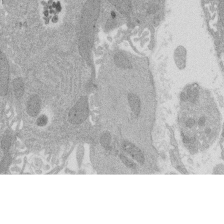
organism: Rat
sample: Salivary granule